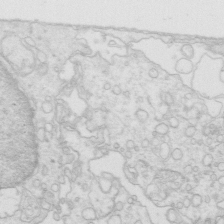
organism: Mouse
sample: Multiciliated cells